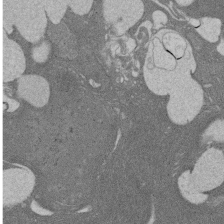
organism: Rat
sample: Salivary granule